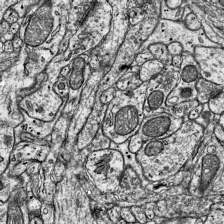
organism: Mouse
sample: Visual Cortex